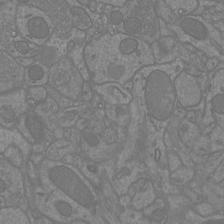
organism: Mouse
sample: Cortical neurons